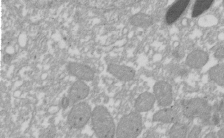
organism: Xenopus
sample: Cilia; centrioles in frog embryo cells